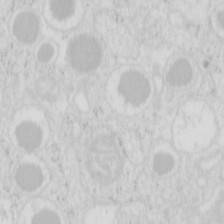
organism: Mouse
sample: Pancreas